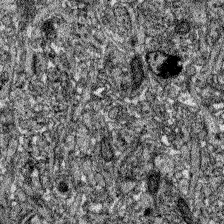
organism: Zebrafish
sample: Larval olfactory bulb